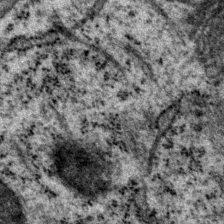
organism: P. pacificus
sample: Pharynx